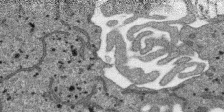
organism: Human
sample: Lung epithelial cells infected with SARS-CoV-2